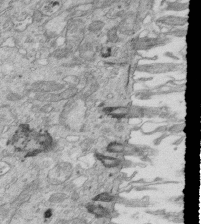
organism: Mouse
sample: Multiciliated cells